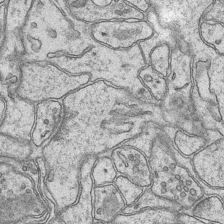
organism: Mouse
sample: CA1 Hippocampus